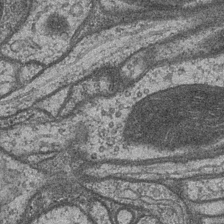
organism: Drosophila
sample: Optic medulla